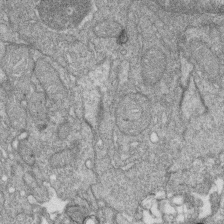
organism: Zebrafish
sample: Cilia; retinal pigment epithelium